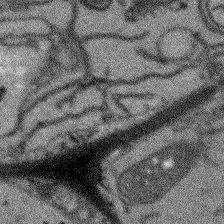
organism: Arabidopsis thaliana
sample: Root tip